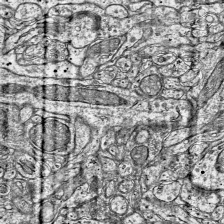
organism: Mouse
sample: Visual Cortex